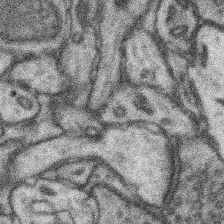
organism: Mouse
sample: Somatosensory cortex neuropil